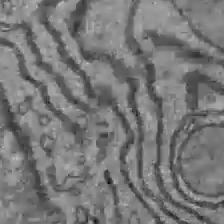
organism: C57BL Mouse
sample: Liver